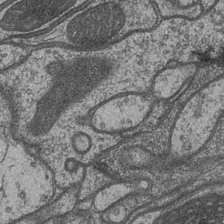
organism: Drosophila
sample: Optic medulla